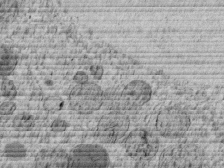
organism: C. elegans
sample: C. elegans embryo early stage